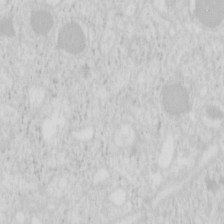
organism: Mouse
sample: Pancreas